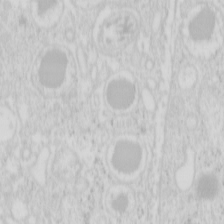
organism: Mouse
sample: Pancreas